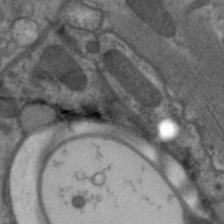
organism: C. elegans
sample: Pharynx